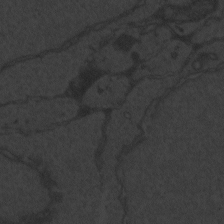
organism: Zebrafish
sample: Macrophage infected with Toxoplasma gondii